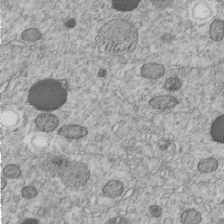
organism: C. elegans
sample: C. elegans embryo early stage